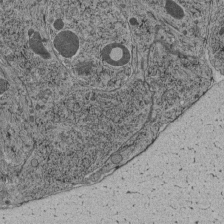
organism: C. elegans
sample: C. elegans pharynx